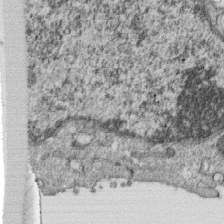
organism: African green monkey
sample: Vero E6 cells infected with SARS-CoV-2